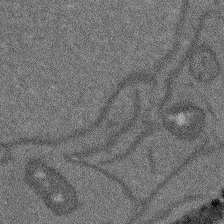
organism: Arabidopsis thaliana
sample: Root tip